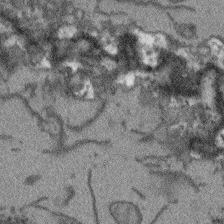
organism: Arabidopsis thaliana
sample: Root tip